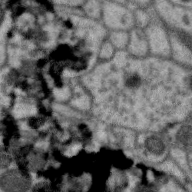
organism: Zebra finch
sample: Brain